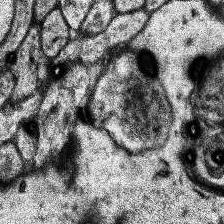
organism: Human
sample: Temporal Lobe